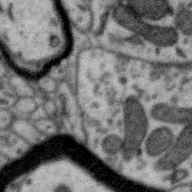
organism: Zebra finch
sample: Brain